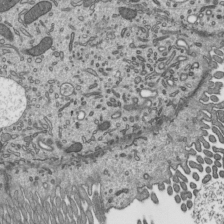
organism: Mouse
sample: Mouse epididymis efferent ductule cilia